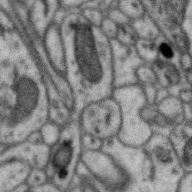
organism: Zebra finch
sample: Brain